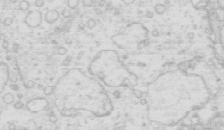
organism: Mouse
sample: Multiciliated cells